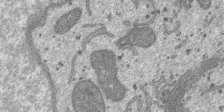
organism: Human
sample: Lung epithelial cells infected with SARS-CoV-2